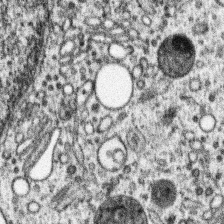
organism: Human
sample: HeLa cells